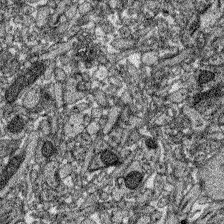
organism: Zebrafish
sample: Larval olfactory bulb